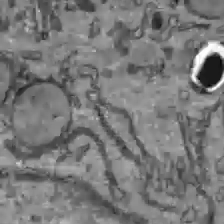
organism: C57BL Mouse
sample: Liver